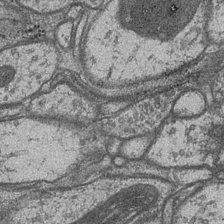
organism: Drosophila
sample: Optic medulla